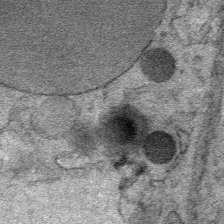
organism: Mouse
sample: Mouse Salivary gland